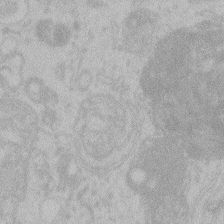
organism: Zebrafish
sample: Macrophage infected with Toxoplasma gondii